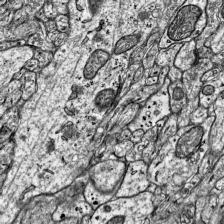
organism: Mouse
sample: Visual Cortex